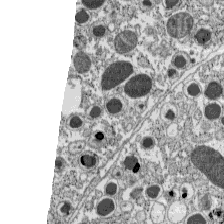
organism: C57BL Mouse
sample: Pancreatic islet